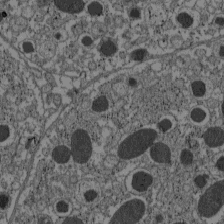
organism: C57BL Mouse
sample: Pancreatic islet